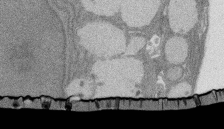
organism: Rat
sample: Salivary granule